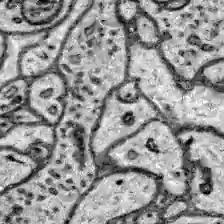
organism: Zebrafish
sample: Brain